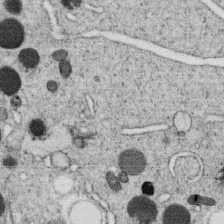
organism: C. elegans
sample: C. elegans oocyte; sperm cells